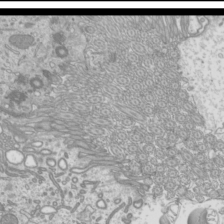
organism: Mouse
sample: Cilia; mouse epididymis